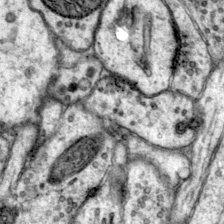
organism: Mouse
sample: Primary visual cortex